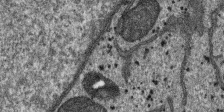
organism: Human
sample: Lung epithelial cells infected with SARS-CoV-2